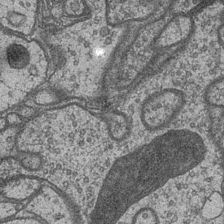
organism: Drosophila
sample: Optic medulla